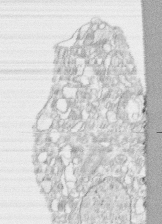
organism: Human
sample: CRL-1474